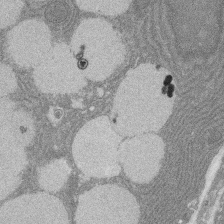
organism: Rat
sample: Salivary granule